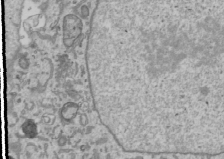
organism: Human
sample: Mitochondria in U2OS cells